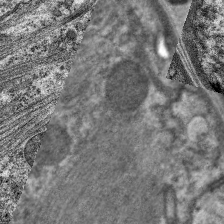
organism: C. elegans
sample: Pharynx